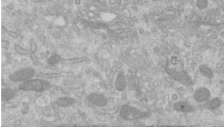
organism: Human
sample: Centriole in RPE cells